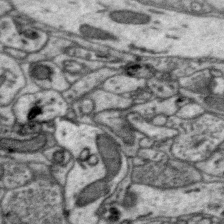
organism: Zebra finch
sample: Brain